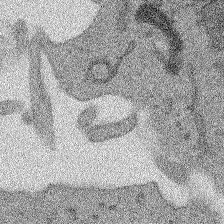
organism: Human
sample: HeLa cells